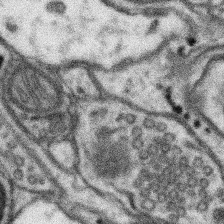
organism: Mouse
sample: Somatosensory cortex neuropil